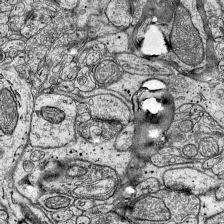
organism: Mouse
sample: Visual Cortex